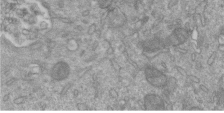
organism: Mouse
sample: ED-1 cell nuclei; centrioles